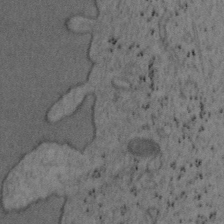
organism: Human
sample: HeLa cells